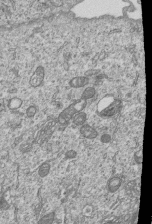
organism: Human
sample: MDA-MB-231 cells